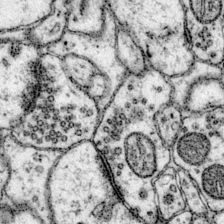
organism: Mouse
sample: Primary visual cortex